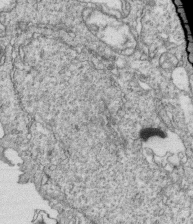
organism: Human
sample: HeLa cell HIV synapse